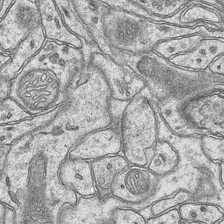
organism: Mouse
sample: CA1 Hippocampus